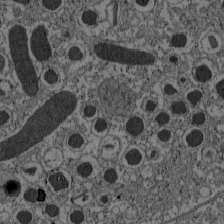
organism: C57BL Mouse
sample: Pancreatic islet